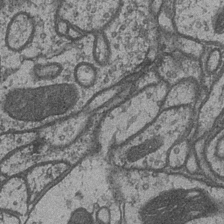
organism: Drosophila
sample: Optic medulla